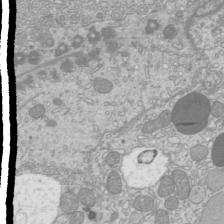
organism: Mouse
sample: Cilia; mouse epididymis